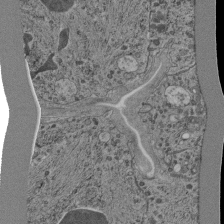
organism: C. elegans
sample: C. elegans pharynx